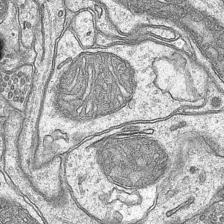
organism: Mouse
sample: CA1 Hippocampus